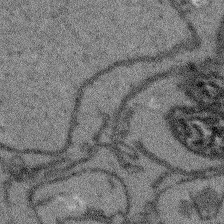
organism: Arabidopsis thaliana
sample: Root tip